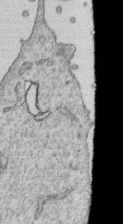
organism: Human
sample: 1205lu cells